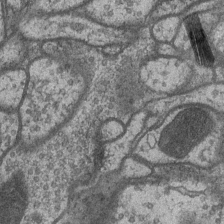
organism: Drosophila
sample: Optic medulla